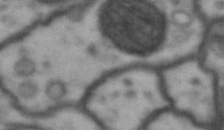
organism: Drosophila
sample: Brain